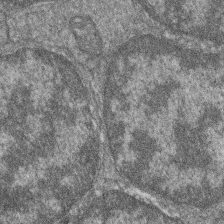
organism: Zebrafish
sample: Cilia; retinal pigment epithelium